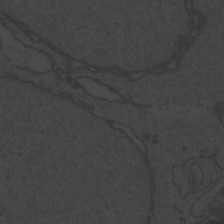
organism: Zebrafish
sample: Macrophage infected with Toxoplasma gondii